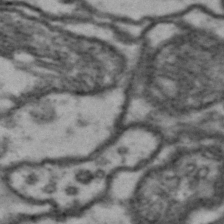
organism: Drosophila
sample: Brain